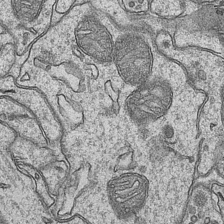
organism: Mouse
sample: CA1 Hippocampus